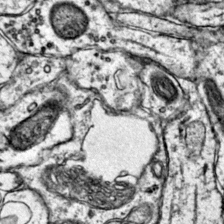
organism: Mouse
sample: Primary visual cortex